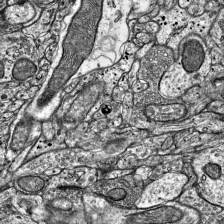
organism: Mouse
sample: Visual Cortex